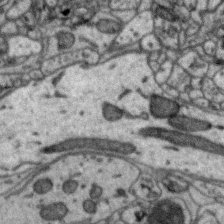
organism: Zebra finch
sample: Brain